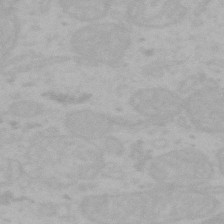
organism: Mouse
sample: Choroid plexus